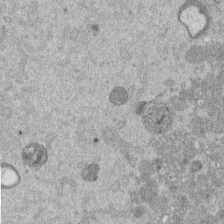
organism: Mouse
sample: Dividing mouse embryo 1 cell stage